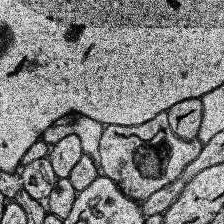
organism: Human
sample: Temporal Lobe